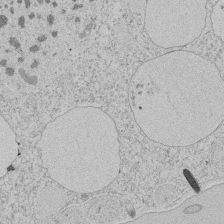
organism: Tetrahymena